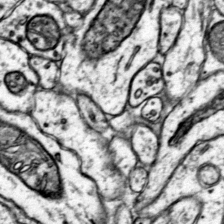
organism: Mouse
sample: Primary visual cortex